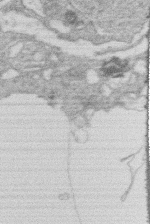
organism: Human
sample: Macrophage cells